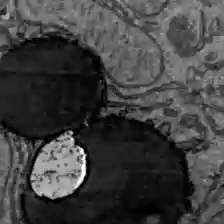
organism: C57BL Mouse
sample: Liver